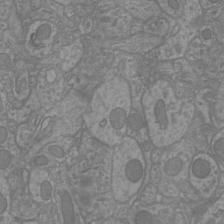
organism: Mouse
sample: Cortical neurons